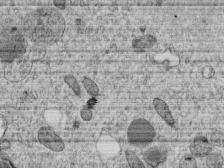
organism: C. elegans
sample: C. elegans embryo early stage